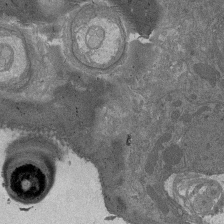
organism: Drosophila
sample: Antenna